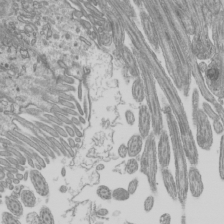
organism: Mouse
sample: Cilia; mouse epididymis